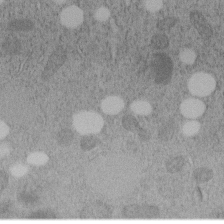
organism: C. elegans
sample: C. elegans embryo early stage